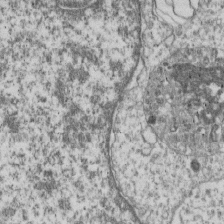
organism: Human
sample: MDA-MB-231 cells